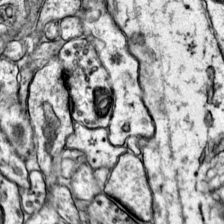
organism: Mouse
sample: Primary visual cortex